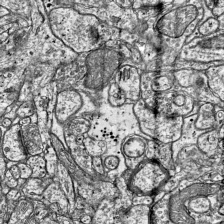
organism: Mouse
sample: Visual Cortex